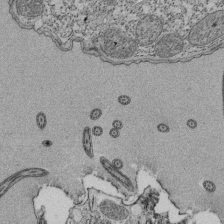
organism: Tetrahymena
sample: Cilia in tetrahymena